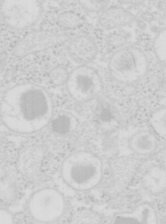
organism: Mouse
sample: Pancreas